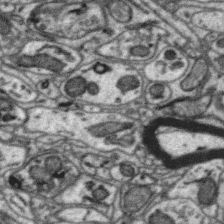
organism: Zebra finch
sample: Brain